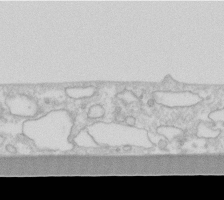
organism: Human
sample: Fibroblast cells